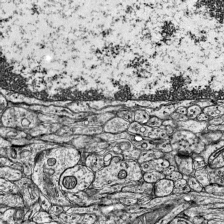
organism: Mouse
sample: Visual Cortex